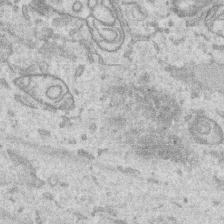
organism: Human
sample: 1205lu cells